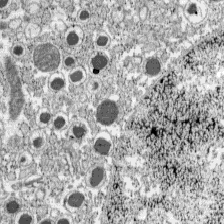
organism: C57BL Mouse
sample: Pancreatic islet